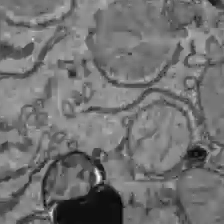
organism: C57BL Mouse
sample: Liver